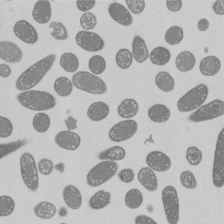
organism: E. coli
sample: Bacterial nucleoid